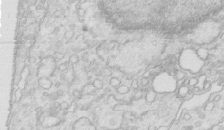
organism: Mouse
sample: Multiciliated cells